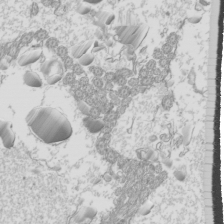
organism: Mouse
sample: Cilia; mouse epididymis